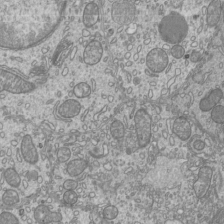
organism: Mouse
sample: Cilia; mouse epididymis